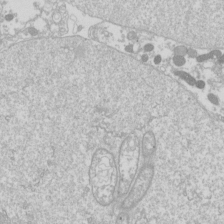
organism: Drosophila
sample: Cell division; meiosis; drosophila spermatocytes